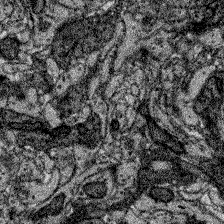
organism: Zebrafish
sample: Larval olfactory bulb